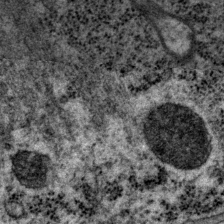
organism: P. pacificus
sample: Pharynx